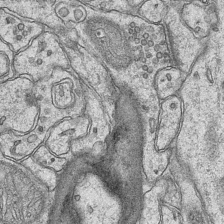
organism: Mouse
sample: CA1 Hippocampus